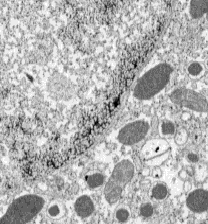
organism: C57BL Mouse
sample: Pancreatic islet